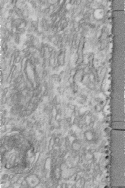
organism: Human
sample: Centriole in fibroblast cells